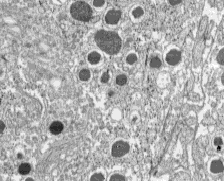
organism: C57BL Mouse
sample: Pancreatic islet